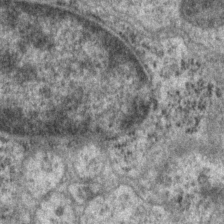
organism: P. pacificus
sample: Pharynx